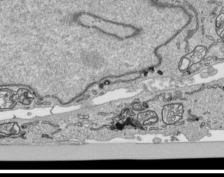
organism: Human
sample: Mitochondria in HCT116 cells